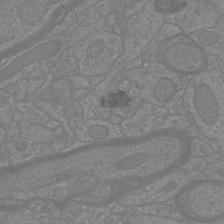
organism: Mouse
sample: Cortical neurons